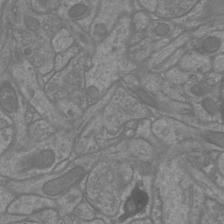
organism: Mouse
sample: Cortical neurons